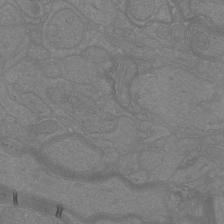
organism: Mouse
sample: Cortical neurons